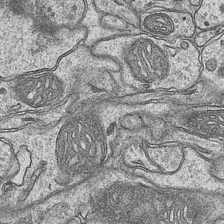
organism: Mouse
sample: CA1 Hippocampus